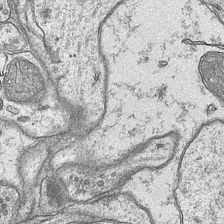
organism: Mouse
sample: CA1 Hippocampus